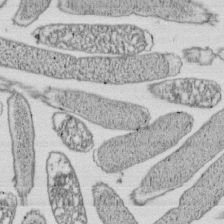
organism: E. coli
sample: Bacterial nucleoid